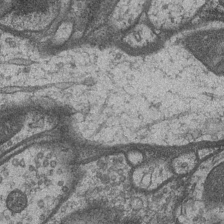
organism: Drosophila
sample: Optic medulla